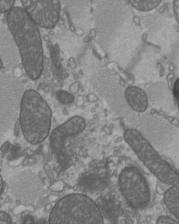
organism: C57BL Mouse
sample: Heart